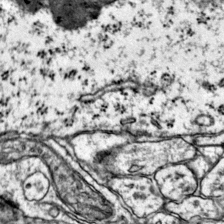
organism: Mouse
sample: Primary visual cortex